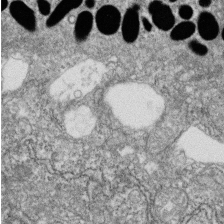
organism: Zebrafish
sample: Cilia; retinal pigment epithelium